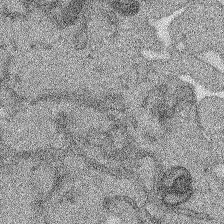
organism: Human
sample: HeLa cells